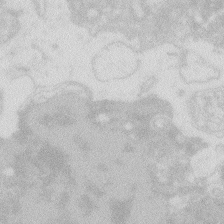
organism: Zebrafish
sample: Macrophage